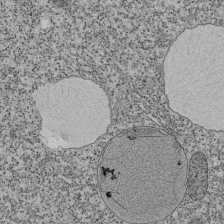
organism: Tetrahymena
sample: Cilia in tetrahymena